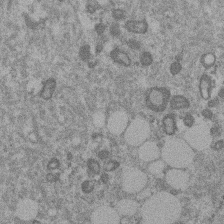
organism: Mouse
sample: Dividing mouse embryo 1 cell stage